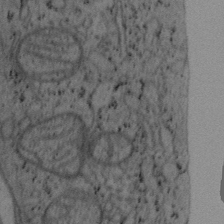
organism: Human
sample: HeLa cells